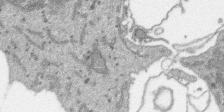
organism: Human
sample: Lung epithelial cells infected with SARS-CoV-2